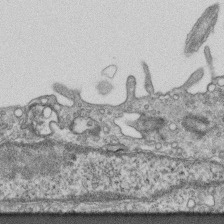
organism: Mouse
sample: Centriole in ependymal cells